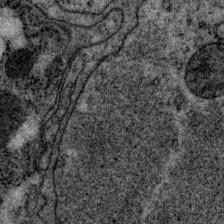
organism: P. pacificus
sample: Pharynx